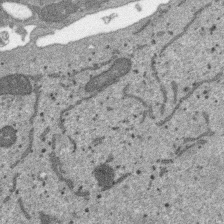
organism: Human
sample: Lung epithelial cells infected with SARS-CoV-2